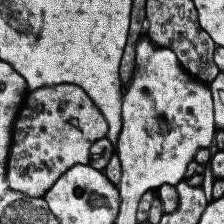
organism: Human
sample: Temporal Lobe